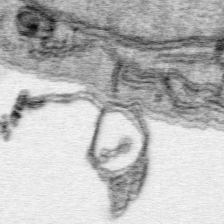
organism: Human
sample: HeLa cells